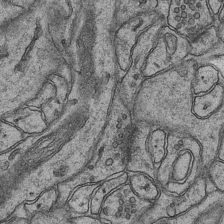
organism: Mouse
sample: CA1 Hippocampus